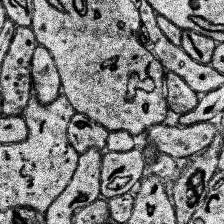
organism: Human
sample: Temporal Lobe